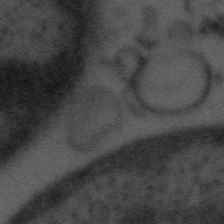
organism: Tuwongella immobilis